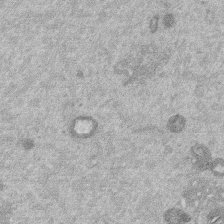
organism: Mouse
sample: Dividing mouse embryo 1 cell stage